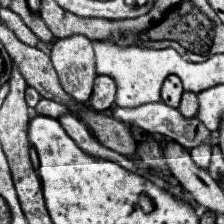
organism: Human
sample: Temporal Lobe